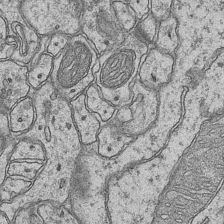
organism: Mouse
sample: CA1 Hippocampus